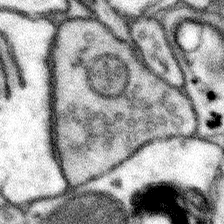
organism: Mouse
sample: Somatosensory cortex neuropil